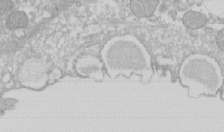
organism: Xenopus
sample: Cilia; centrioles in frog embryo cells